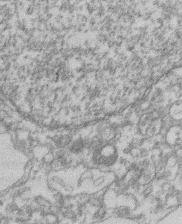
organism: Mouse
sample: T cell stromal cell synapse